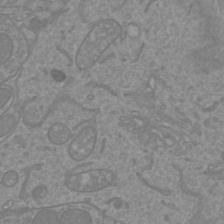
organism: Mouse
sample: Cortical neurons